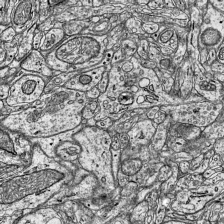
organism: Mouse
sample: Visual Cortex